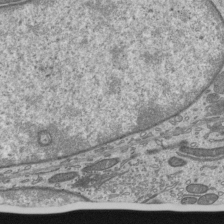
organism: Mouse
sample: Mouse epididymis efferent ductule cilia